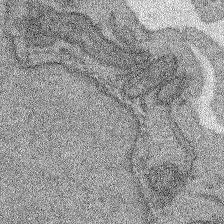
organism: Human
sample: HeLa cells